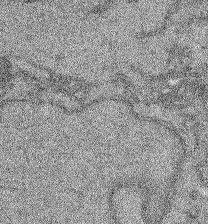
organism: Human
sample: HeLa cells